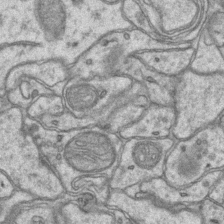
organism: Mouse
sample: CA1 Hippocampus